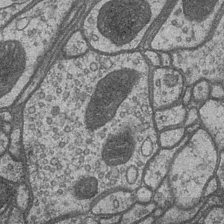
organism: Drosophila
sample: Optic medulla